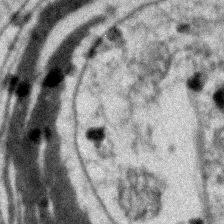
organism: Zebrafish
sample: Zebrafish embryo